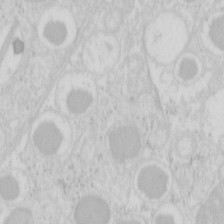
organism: Mouse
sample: Pancreas